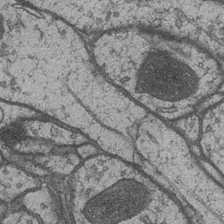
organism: Drosophila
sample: Optic medulla